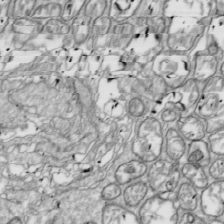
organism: Drosophila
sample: Cell division; meiosis; drosophila spermatocytes